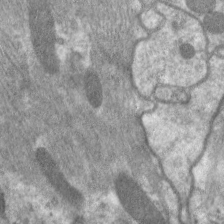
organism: C. elegans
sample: Pharynx